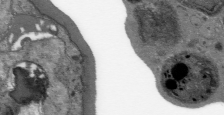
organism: Plasmodium falciparum